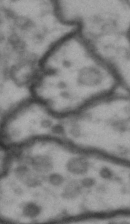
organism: Drosophila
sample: Brain